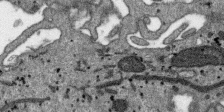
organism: Human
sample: Lung epithelial cells, uninfected (mock) control